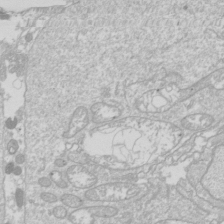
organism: Drosophila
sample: Cell division; meiosis; drosophila spermatocytes